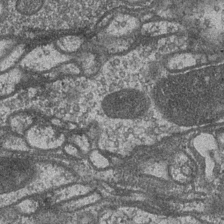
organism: Drosophila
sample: Optic medulla